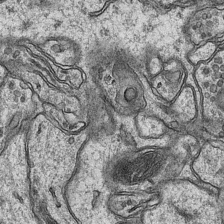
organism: Mouse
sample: CA1 Hippocampus